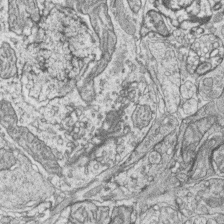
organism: Zebrafish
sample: synaptic ribbons in rod cells and cone cells